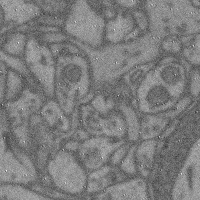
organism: Mouse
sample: Cerebral cortex